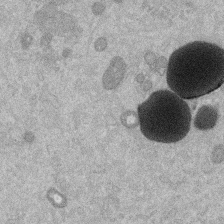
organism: Mouse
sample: Dividing mouse embryo 1 cell stage